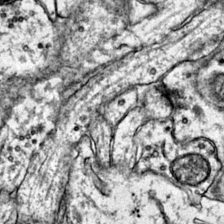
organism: Mouse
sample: Primary visual cortex